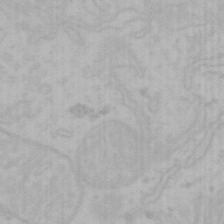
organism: Mouse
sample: Choroid plexus